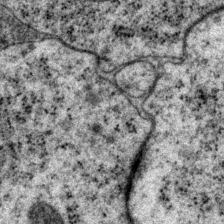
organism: P. pacificus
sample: Pharynx